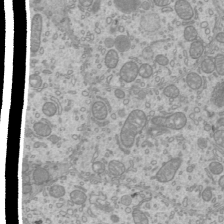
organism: Mouse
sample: Cilia; mouse epididymis